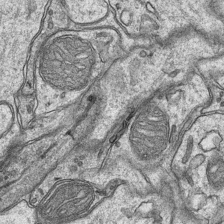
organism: Mouse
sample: CA1 Hippocampus